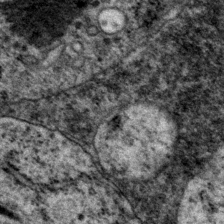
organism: P. pacificus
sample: Pharynx